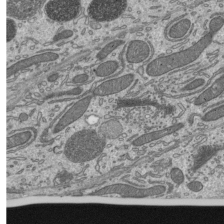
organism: Mouse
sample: Mouse epididymis efferent ductule cilia